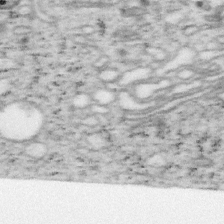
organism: Mouse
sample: OT-I killer T cells with ID8 ovarian cancer cells